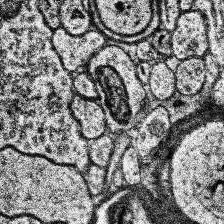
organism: Human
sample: Temporal Lobe